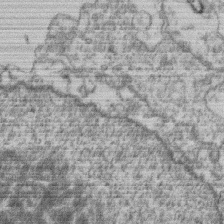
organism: Mouse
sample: T cell stromal cell synapse